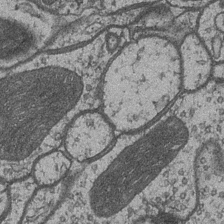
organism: Drosophila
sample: Optic medulla